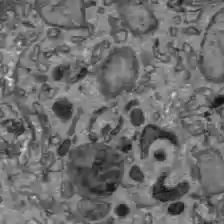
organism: C57BL Mouse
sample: Liver